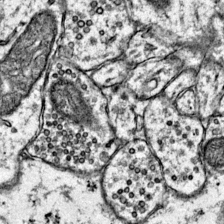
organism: Mouse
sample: Primary visual cortex